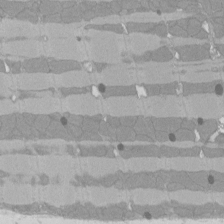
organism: Rat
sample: Left ventricle